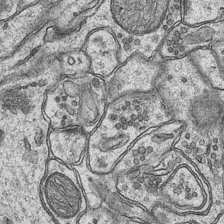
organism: Mouse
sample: CA1 Hippocampus